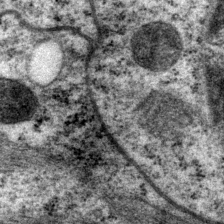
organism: P. pacificus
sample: Pharynx